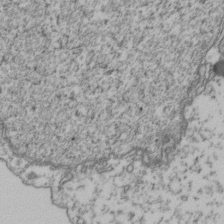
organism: Human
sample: Activated Jurkat CD4+ T cells